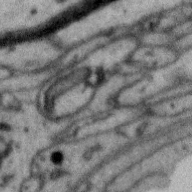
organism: Zebra finch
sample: Brain